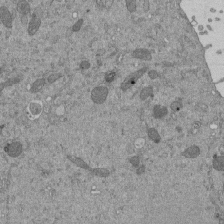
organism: Mouse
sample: ED-1 cell nuclei; centrioles